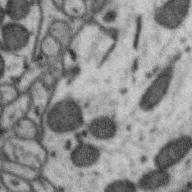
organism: Zebra finch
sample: Brain